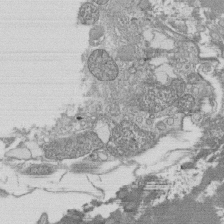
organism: Tetrahymena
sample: Cilia in tetrahymena